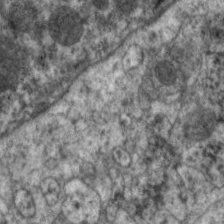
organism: C. elegans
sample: Pharynx